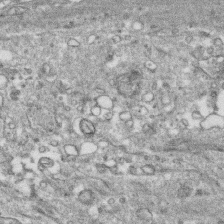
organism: Human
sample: CRL-1474